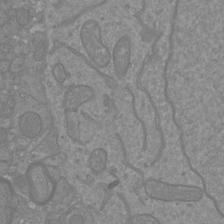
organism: Mouse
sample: Cortical neurons